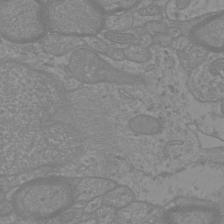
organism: Mouse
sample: Cortical neurons